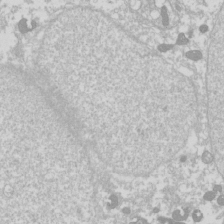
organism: Drosophila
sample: Cell division; meiosis; drosophila spermatocytes